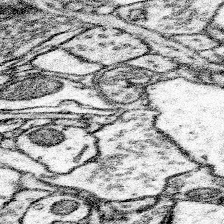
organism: Mouse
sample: Somatosensory cortex neuropil